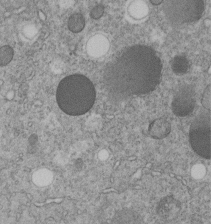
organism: C. elegans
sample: C. elegans embryo early stage